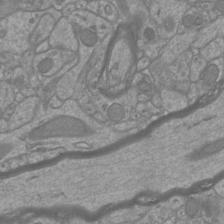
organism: Mouse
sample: Cortical neurons